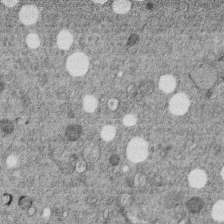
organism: C. elegans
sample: C. elegans embryo early stage